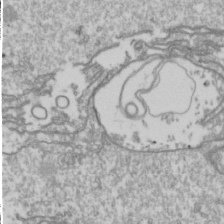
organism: Drosophila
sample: Cell division; meiosis; drosophila spermatocytes